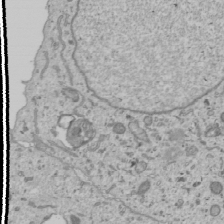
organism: Human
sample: Mitochondria in U2OS cells